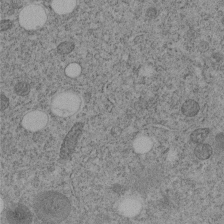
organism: C. elegans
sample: C. elegans embryo early stage